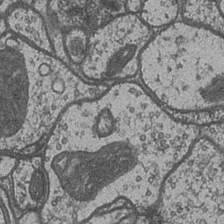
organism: Drosophila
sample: Optic medulla